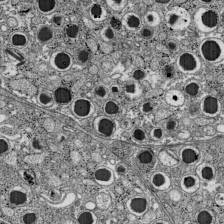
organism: C57BL Mouse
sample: Pancreatic islet